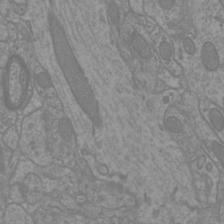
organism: Mouse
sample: Cortical neurons